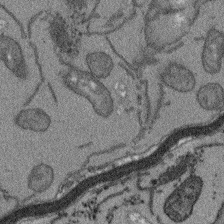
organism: Arabidopsis thaliana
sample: Root tip